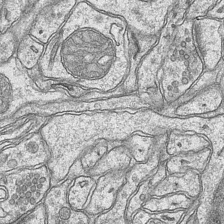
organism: Mouse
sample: CA1 Hippocampus